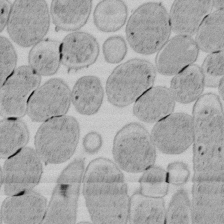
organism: E. coli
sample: Bacterial nucleoid